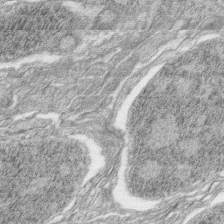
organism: Zebrafish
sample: synaptic ribbons in rod cells and cone cells